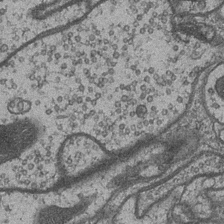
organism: Drosophila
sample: Optic medulla